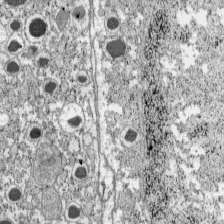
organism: C57BL Mouse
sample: Pancreatic islet